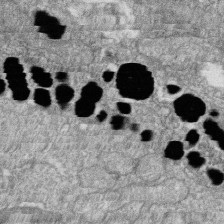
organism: Zebrafish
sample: Cilia; retinal pigment epithelium